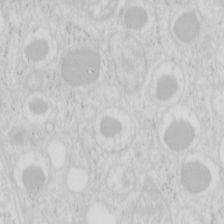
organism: Mouse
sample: Pancreas